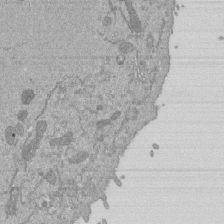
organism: Mouse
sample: ED-1 cell nuclei; centrioles